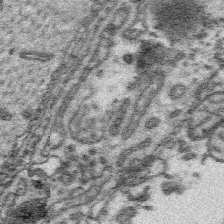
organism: Platynereis dumerilii